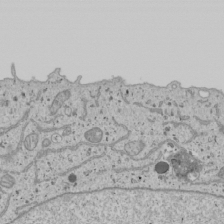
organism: Human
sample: Mitochondria in U2OS cells